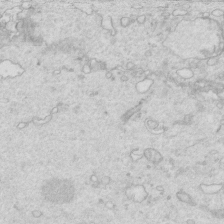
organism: Mouse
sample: Multiciliated cells